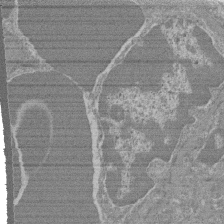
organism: Mouse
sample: Glomerulus